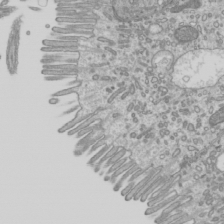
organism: Mouse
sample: Cilia; mouse epididymis